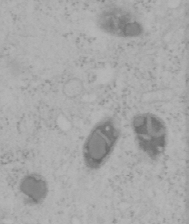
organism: Mouse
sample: OT-I killer T cells with ID8 ovarian cancer cells